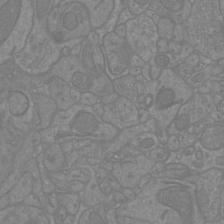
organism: Mouse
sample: Cortical neurons